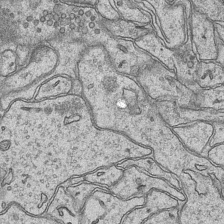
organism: Mouse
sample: CA1 Hippocampus